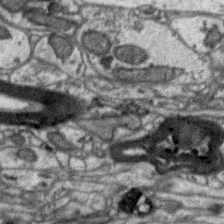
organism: Zebra finch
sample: Brain